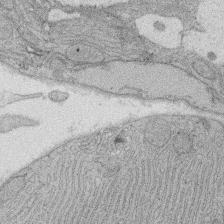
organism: Rat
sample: Salivary granule